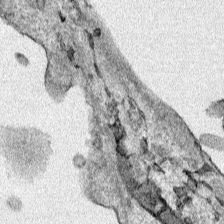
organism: Human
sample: Mitochondria in HCT116 cells